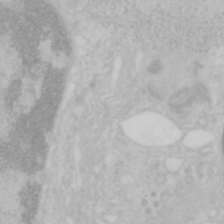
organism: Mouse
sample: OT-I killer T cells with ID8 ovarian cancer cells